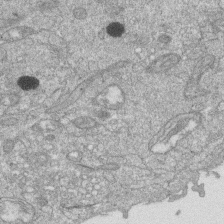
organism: Human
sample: HeLa cell HIV synapse